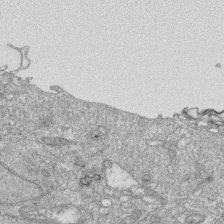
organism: Human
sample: HeLa cell HIV synapse